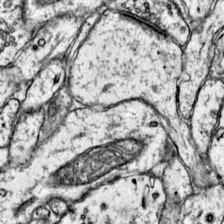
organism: Mouse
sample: Primary visual cortex